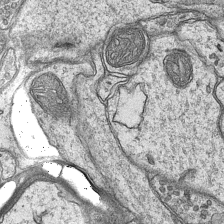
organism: Mouse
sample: CA1 Hippocampus